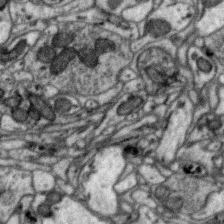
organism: Zebra finch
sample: Brain